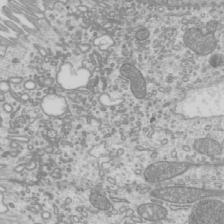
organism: Mouse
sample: Cilia; mouse epididymis